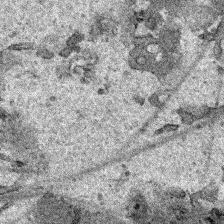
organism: Human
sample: Mitochondria in HCT116 cells